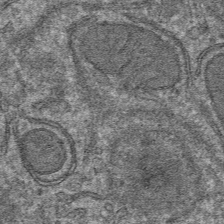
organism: Mouse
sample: Mouse hepatocytes